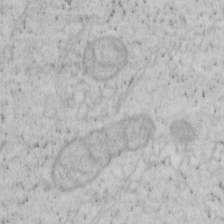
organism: Human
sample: HeLa cells